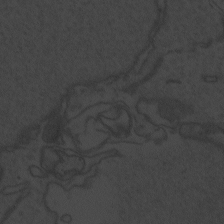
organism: Zebrafish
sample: Macrophage infected with Toxoplasma gondii